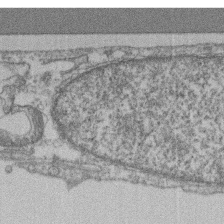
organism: Mouse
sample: T cell stromal cell synapse